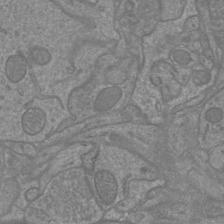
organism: Mouse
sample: Cortical neurons